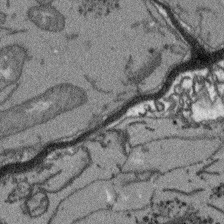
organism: Arabidopsis thaliana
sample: Root tip